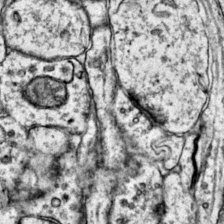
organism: Mouse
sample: Primary visual cortex